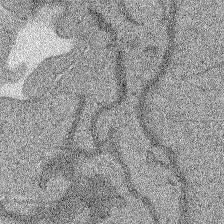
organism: Human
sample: HeLa cells